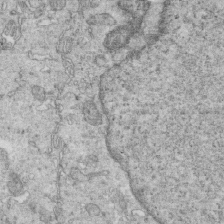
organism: Mouse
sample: Multiciliated cells